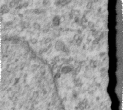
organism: Human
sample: Centriole in RPE cells